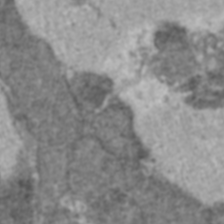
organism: C57BL Mouse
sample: Heart